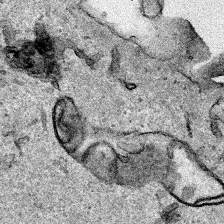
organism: Human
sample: Mitochondria in HCT116 cells